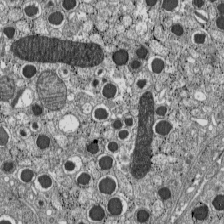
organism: C57BL Mouse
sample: Pancreatic islet